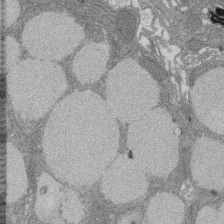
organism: Rat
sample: Salivary granule